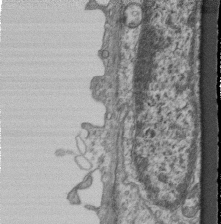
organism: Mouse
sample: Centriole in ependymal cells